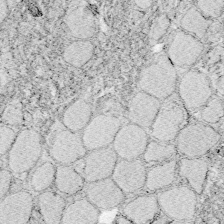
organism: Zebrafish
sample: Whole-Brain